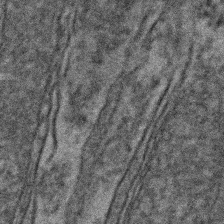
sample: Kidney